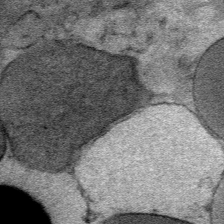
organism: Mouse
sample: Mouse Salivary gland